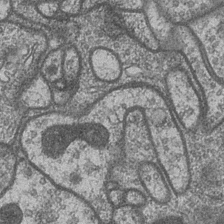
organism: Drosophila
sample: Optic medulla